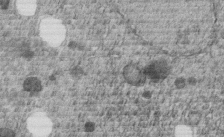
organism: C. elegans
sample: C. elegans embryo early stage